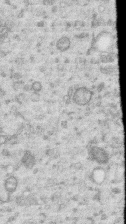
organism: Human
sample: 1205lu cells